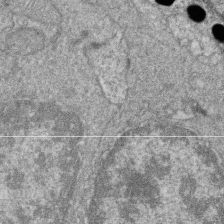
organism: Zebrafish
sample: Cilia; retinal pigment epithelium